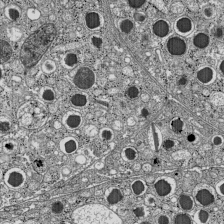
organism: C57BL Mouse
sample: Pancreatic islet